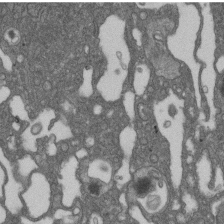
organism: Drosophila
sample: Nephrocyte